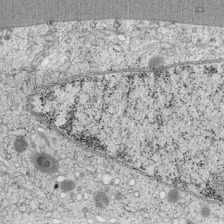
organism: African green monkey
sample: COS-7 cells